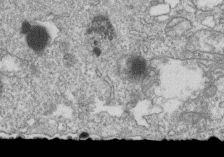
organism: Human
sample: HeLa cell HIV synapse